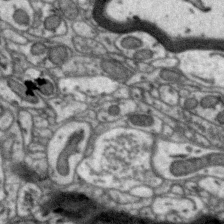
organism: Zebra finch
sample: Brain